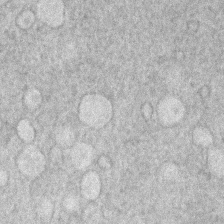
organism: Human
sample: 1205lu cells